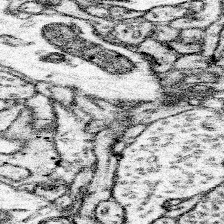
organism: Mouse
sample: Somatosensory cortex neuropil